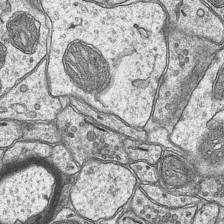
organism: Mouse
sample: CA1 Hippocampus